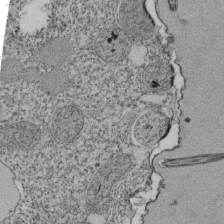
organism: Tetrahymena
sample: Cilia in tetrahymena